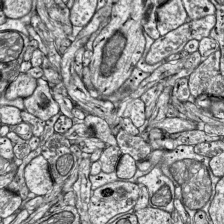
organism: Mouse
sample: Visual Cortex